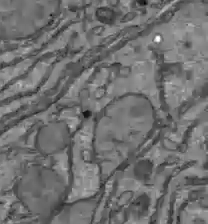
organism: C57BL Mouse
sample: Liver